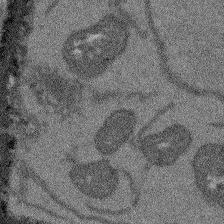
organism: Arabidopsis thaliana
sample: Root tip